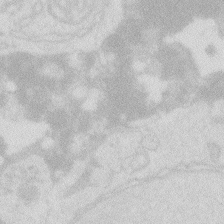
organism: Zebrafish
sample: Macrophage